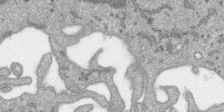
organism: Human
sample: Lung epithelial cells infected with SARS-CoV-2